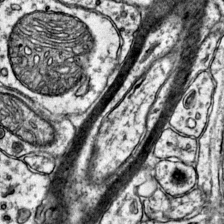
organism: Mouse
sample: Primary visual cortex